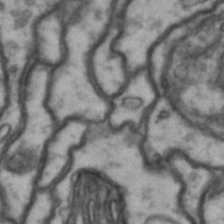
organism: Drosophila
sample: Brain